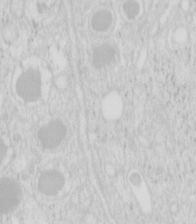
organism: Mouse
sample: Pancreas